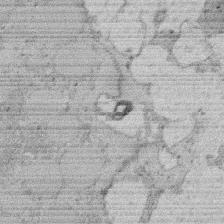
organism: Rat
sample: Salivary granule